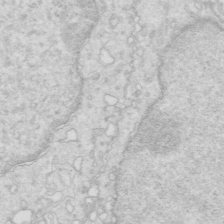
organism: Mouse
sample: Multiciliated cells